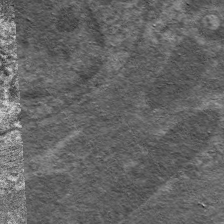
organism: C. elegans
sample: Pharynx